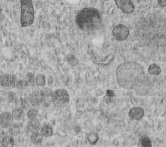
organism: C. elegans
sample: C. elegans embryo early stage